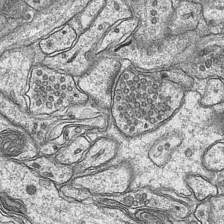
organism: Mouse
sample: CA1 Hippocampus